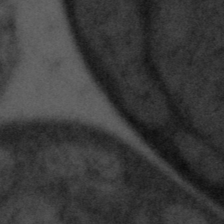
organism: Tuwongella immobilis